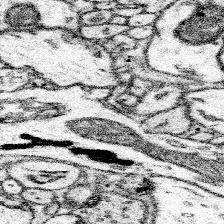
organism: Mouse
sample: Somatosensory cortex neuropil